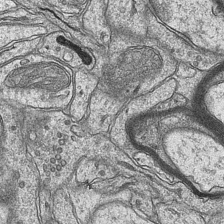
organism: Mouse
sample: CA1 Hippocampus